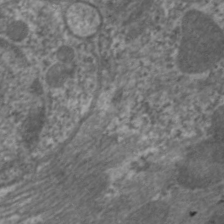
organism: C. elegans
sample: Pharynx